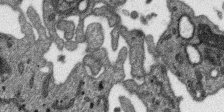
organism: Human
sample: Lung epithelial cells infected with SARS-CoV-2